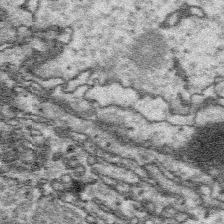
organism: Platynereis dumerilii